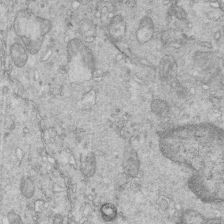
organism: Mouse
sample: Multiciliated cells